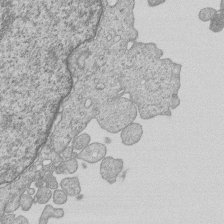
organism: Human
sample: MDA-MB-231 cells